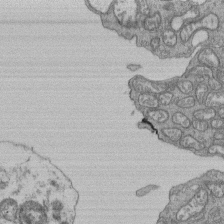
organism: Human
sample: Retinal organoid Rod and Cone cells